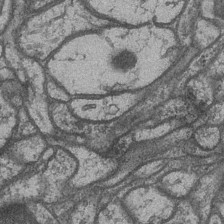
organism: Drosophila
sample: Optic medulla